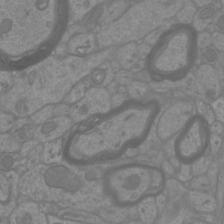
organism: Mouse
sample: Cortical neurons